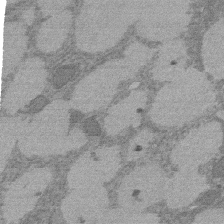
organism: Rat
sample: Salivary granule